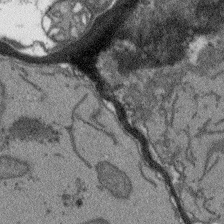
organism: Arabidopsis thaliana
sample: Root tip